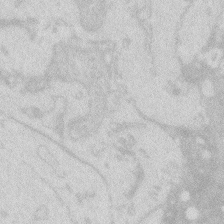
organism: Zebrafish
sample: Macrophage